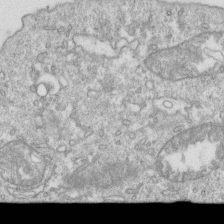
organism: Mouse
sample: Activated OT-1 CD8+ T cells